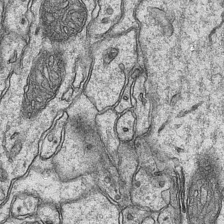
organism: Mouse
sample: CA1 Hippocampus